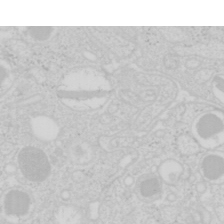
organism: Mouse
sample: Pancreas